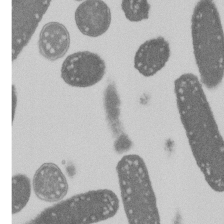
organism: E. coli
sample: Bacterial nucleoid